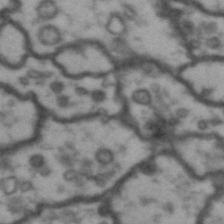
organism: Drosophila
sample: Brain